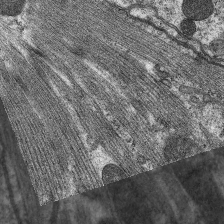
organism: C. elegans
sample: Pharynx